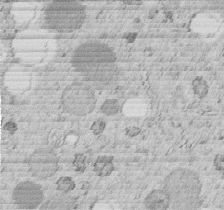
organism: C. elegans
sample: C. elegans embryo early stage